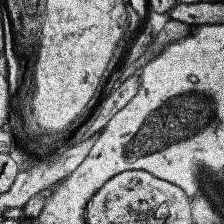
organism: Human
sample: Temporal Lobe